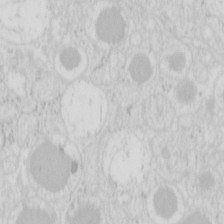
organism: Mouse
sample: Pancreas